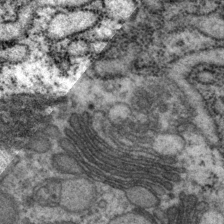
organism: P. pacificus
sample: Pharynx